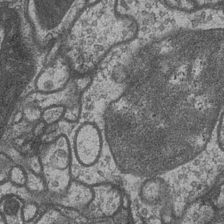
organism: Drosophila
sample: Optic medulla